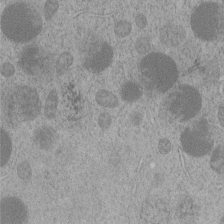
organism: C. elegans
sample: C. elegans embryo early stage